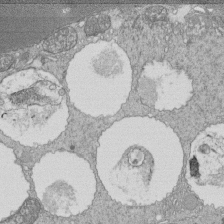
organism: Tetrahymena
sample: Cilia in tetrahymena